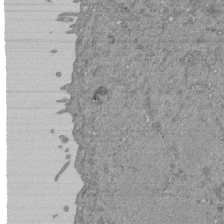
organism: Mouse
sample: ED-1 cell nuclei; centrioles